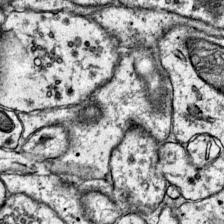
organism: Mouse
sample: Primary visual cortex